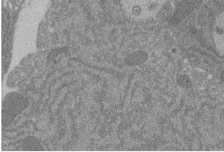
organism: Rat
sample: Salivary granule